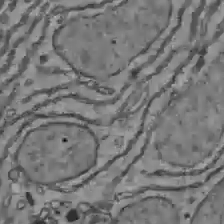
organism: C57BL Mouse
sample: Liver